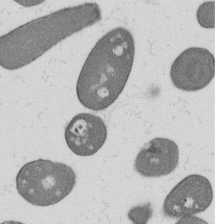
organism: B. subtilis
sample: Bacterial spore